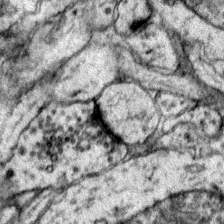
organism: Mouse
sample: Primary visual cortex